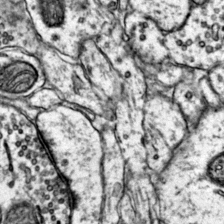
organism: Mouse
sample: Primary visual cortex